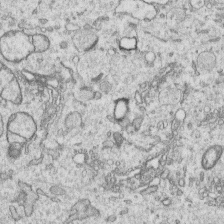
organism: Human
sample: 1205lu cells